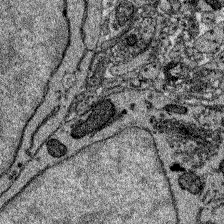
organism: Zebrafish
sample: Larval olfactory bulb